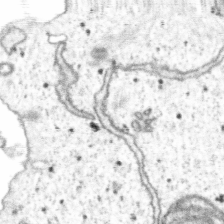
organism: Human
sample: HeLa cells